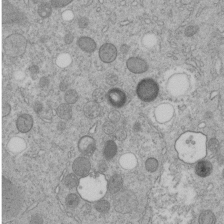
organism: C. elegans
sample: C. elegans embryo early stage